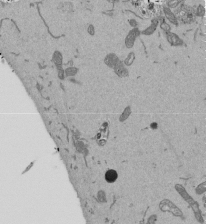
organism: Mouse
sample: ED-1 cell nuclei; centrioles